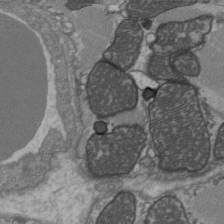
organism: C57BL Mouse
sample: Heart